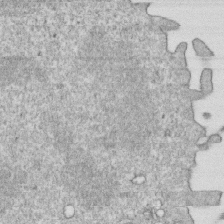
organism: Mouse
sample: Activated OT-1 CD8+ T cells